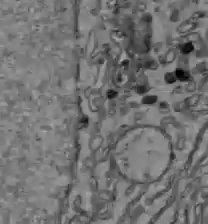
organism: C57BL Mouse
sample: Liver